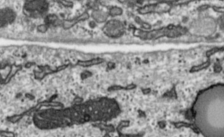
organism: Toxoplasma gondii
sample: Parasites in a vacuole inside a host cell